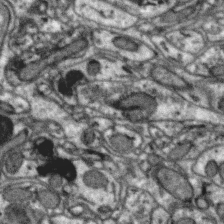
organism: Zebra finch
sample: Brain